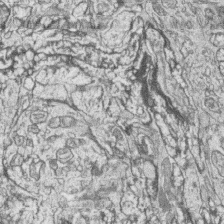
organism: Zebrafish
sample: synaptic ribbons in rod cells and cone cells